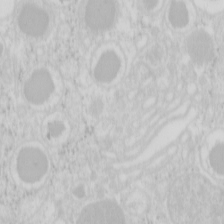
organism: Mouse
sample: Pancreas